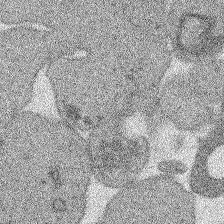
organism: Human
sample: HeLa cells